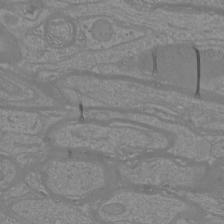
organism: Mouse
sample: Cortical neurons